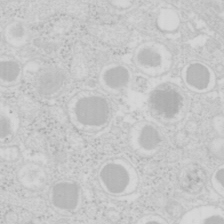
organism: Mouse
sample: Pancreas